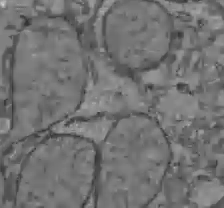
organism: C57BL Mouse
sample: Liver